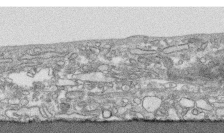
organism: Human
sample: CRL-1474